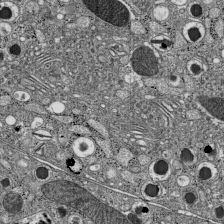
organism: C57BL Mouse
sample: Pancreatic islet